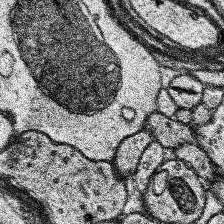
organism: Human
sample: Temporal Lobe